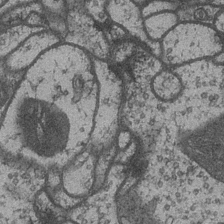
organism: Drosophila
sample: Optic medulla